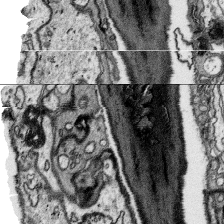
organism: Platynereis dumerilii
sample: Parapodia